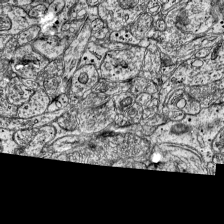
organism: Mouse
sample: Visual Cortex